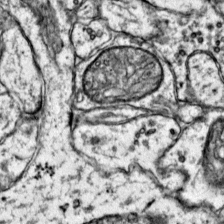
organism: Mouse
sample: Primary visual cortex